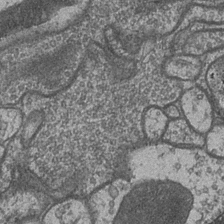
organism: Drosophila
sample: Optic medulla